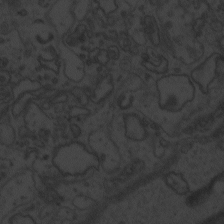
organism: Zebrafish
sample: Macrophage infected with Toxoplasma gondii